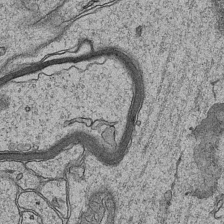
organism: Mouse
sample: CA1 Hippocampus